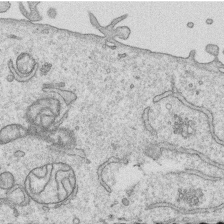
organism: Human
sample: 1205lu cells